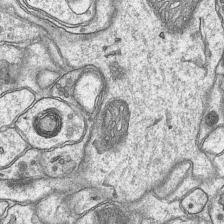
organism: Mouse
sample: CA1 Hippocampus